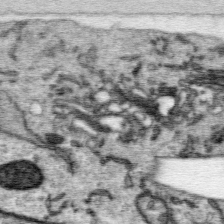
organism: Human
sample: HeLa cells